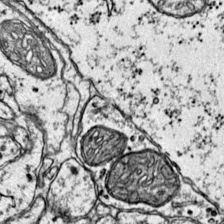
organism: Mouse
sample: Primary visual cortex